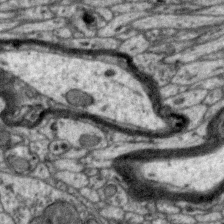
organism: Zebra finch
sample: Brain